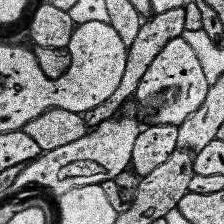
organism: Human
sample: Temporal Lobe